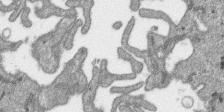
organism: Human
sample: Lung epithelial cells infected with SARS-CoV-2